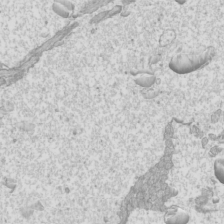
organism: Mouse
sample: Cilia; mouse epididymis